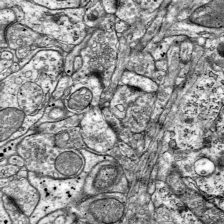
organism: Mouse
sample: Visual Cortex